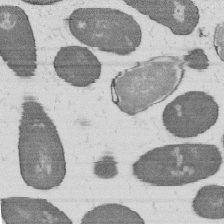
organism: B. subtilis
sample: Bacterial spore